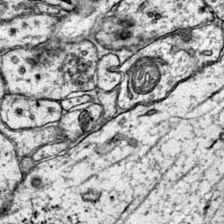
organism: Mouse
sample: Primary visual cortex